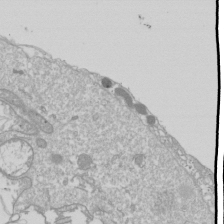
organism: Drosophila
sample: Cell division; meiosis; drosophila spermatocytes